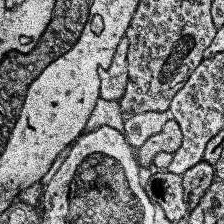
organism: Human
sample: Temporal Lobe